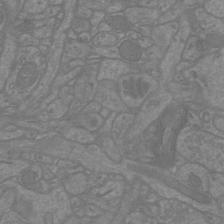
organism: Mouse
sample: Cortical neurons